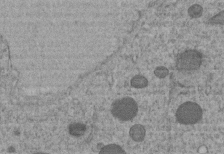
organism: C. elegans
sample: C. elegans embryo early stage